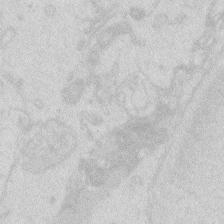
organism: Zebrafish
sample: Macrophage